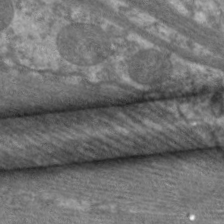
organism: C. elegans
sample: Pharynx